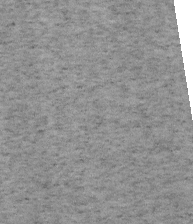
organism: Mouse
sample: OT-I killer T cells with ID8 ovarian cancer cells